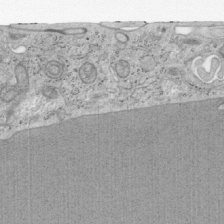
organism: Human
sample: HeLa cells